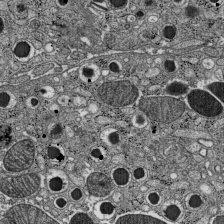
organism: C57BL Mouse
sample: Pancreatic islet